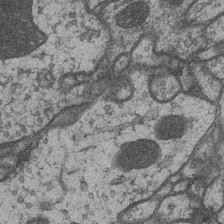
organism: Drosophila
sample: Optic medulla